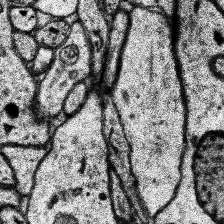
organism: Human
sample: Temporal Lobe